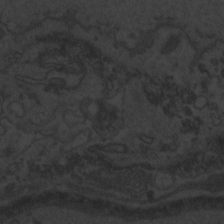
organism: Zebrafish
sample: Macrophage infected with Toxoplasma gondii